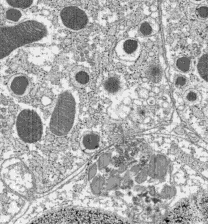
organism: C57BL Mouse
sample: Pancreatic islet